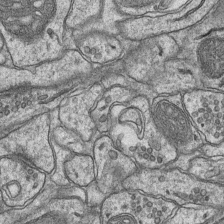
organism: Mouse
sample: CA1 Hippocampus